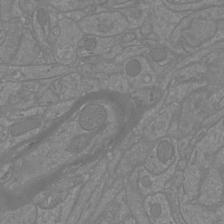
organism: Mouse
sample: Cortical neurons